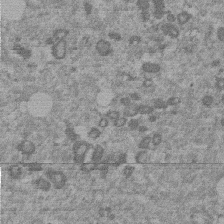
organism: Mouse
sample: Dividing mouse embryo 1 cell stage